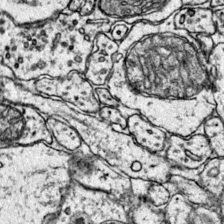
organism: Mouse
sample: Primary visual cortex